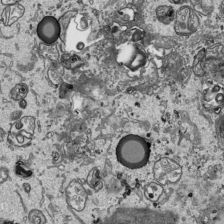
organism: Human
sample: Mitochondria in HCT116 cells